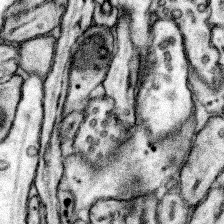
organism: Mouse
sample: Somatosensory cortex neuropil